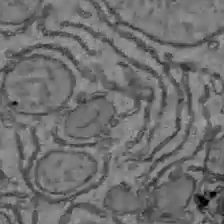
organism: C57BL Mouse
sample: Liver